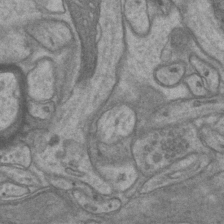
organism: Mouse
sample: CA1 Hippocampus